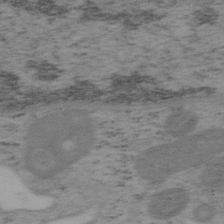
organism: Mouse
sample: OT-I killer T cells with ID8 ovarian cancer cells